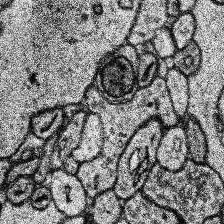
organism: Human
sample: Temporal Lobe